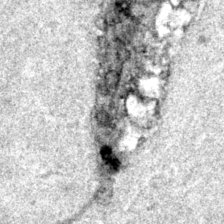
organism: Murine (Unspecified Species)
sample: Bone